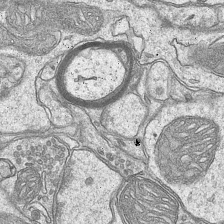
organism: Mouse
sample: CA1 Hippocampus